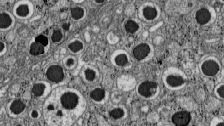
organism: C57BL Mouse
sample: Pancreatic islet